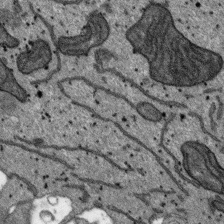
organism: Human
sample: Lung epithelial cells, uninfected (mock) control